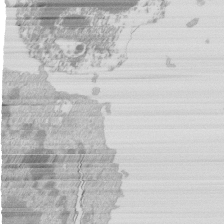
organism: Mouse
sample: Activated Pmel transgenic CD8+ T Cells